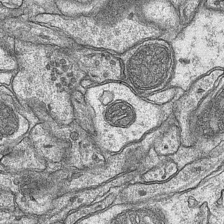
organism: Mouse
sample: CA1 Hippocampus